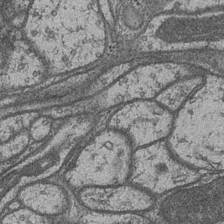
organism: Drosophila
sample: Optic medulla